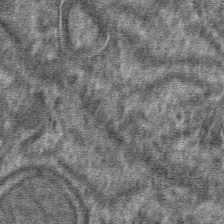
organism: Mouse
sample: Mouse hepatocytes